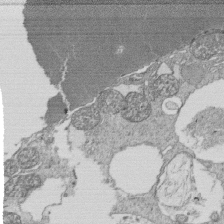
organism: Tetrahymena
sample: Cilia in tetrahymena